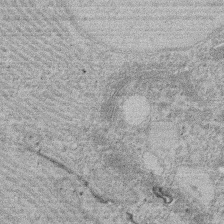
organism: Rat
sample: Salivary granule